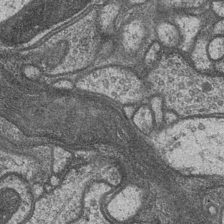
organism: Drosophila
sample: Optic medulla